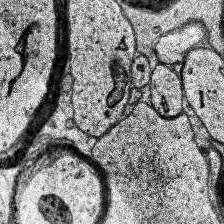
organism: Human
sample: Temporal Lobe